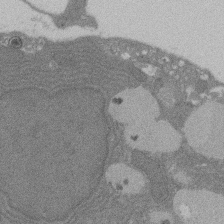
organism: Rat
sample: Salivary granule